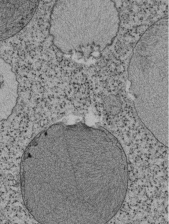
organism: Tetrahymena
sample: Cilia in tetrahymena